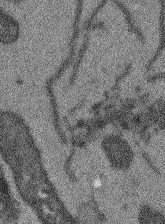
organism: Arabidopsis thaliana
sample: Root tip